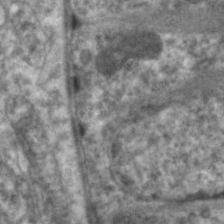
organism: C. elegans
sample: Pharynx